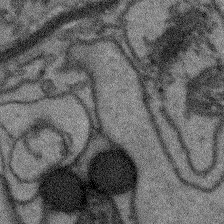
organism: Arabidopsis thaliana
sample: Root tip